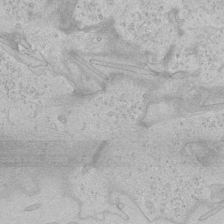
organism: Human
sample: Mitochondria in HCT116 cells